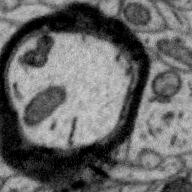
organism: Zebra finch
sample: Brain